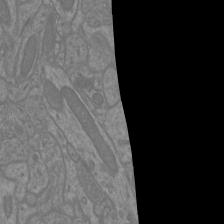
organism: Mouse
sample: Cortical neurons